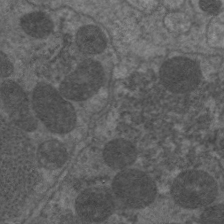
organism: C. elegans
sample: Pharynx